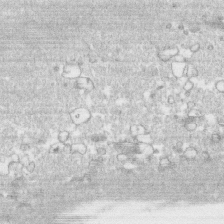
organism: Human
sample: CRL-1474